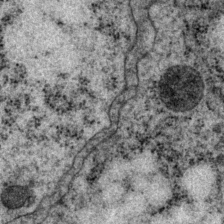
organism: P. pacificus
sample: Pharynx